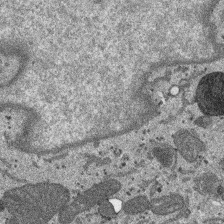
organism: Human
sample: Lung epithelial cells infected with SARS-CoV-2